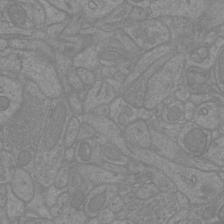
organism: Mouse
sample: Cortical neurons